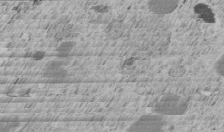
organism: C. elegans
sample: C. elegans embryo early stage